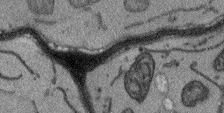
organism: Arabidopsis thaliana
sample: Root tip